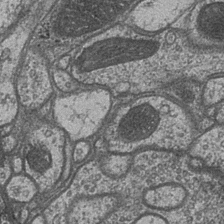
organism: Drosophila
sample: Optic medulla